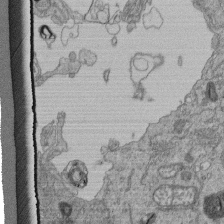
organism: Human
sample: Retinal organoid Rod and Cone cells